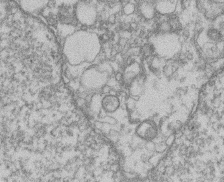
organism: Mouse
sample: T cell stromal cell synapse